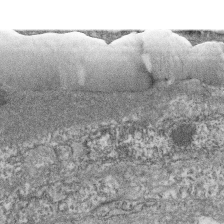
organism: Zebrafish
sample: Cilia; retinal pigment epithelium